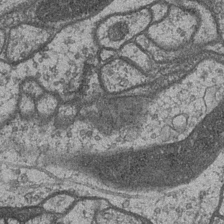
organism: Drosophila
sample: Optic medulla